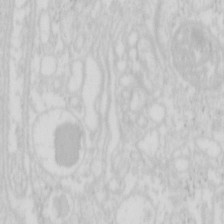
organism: Mouse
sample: Pancreas